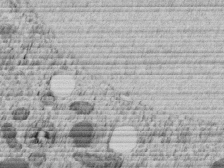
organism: C. elegans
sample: C. elegans embryo early stage